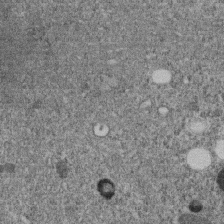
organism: C. elegans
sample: C. elegans embryo early stage